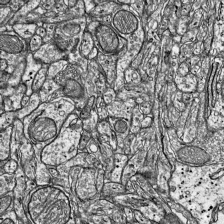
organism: Mouse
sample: Visual Cortex